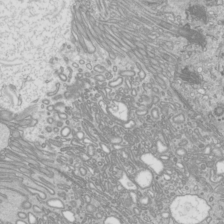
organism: Mouse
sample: Cilia; mouse epididymis